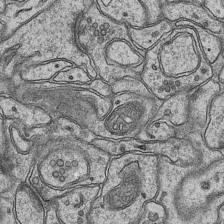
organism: Mouse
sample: CA1 Hippocampus